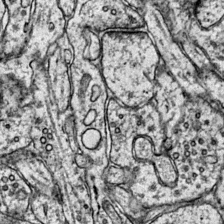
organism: Mouse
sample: Primary visual cortex